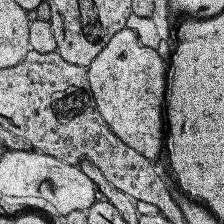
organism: Human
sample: Temporal Lobe